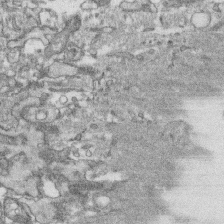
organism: Human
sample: CRL-1474